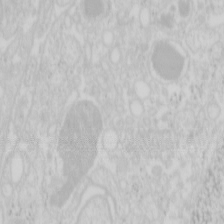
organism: Mouse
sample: Pancreas